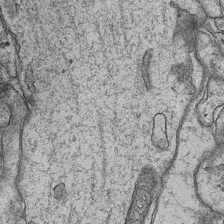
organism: Mouse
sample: CA1 Hippocampus